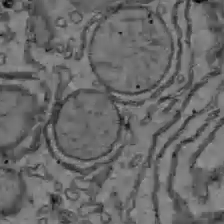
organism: C57BL Mouse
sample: Liver